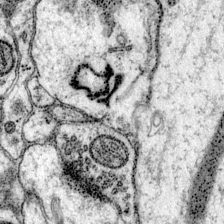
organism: Mouse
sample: Primary visual cortex